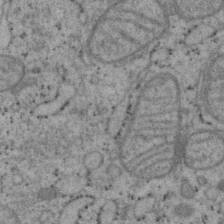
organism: Human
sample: HeLa cells